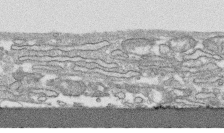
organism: Human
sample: CRL-1474